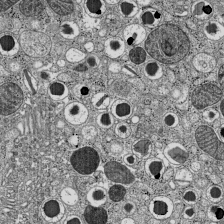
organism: C57BL Mouse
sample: Pancreatic islet